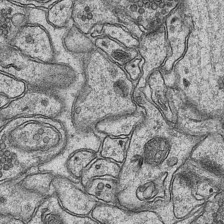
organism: Mouse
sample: CA1 Hippocampus